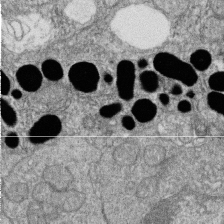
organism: Zebrafish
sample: Cilia; retinal pigment epithelium